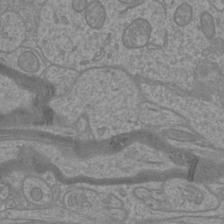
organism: Mouse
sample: Cortical neurons